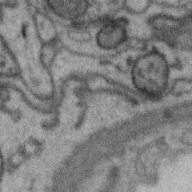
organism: Zebra finch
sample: Brain